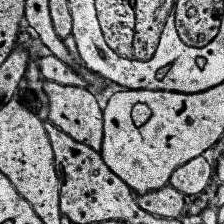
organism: Human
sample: Temporal Lobe